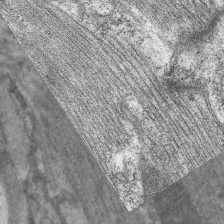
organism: C. elegans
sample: Pharynx